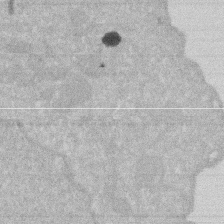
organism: Human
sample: HIV infected U937 cells